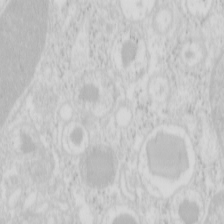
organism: Mouse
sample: Pancreas